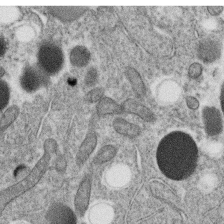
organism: C. elegans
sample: C. elegans oocyte; sperm cells